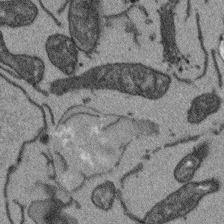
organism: Arabidopsis thaliana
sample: Root tip